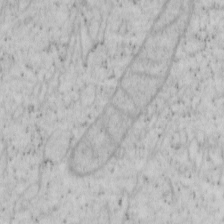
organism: Human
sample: HeLa cells